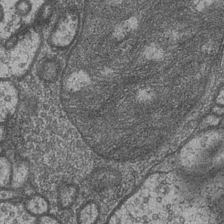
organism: Drosophila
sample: Optic medulla